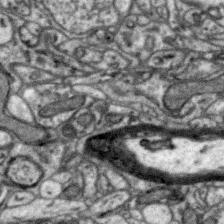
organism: Zebra finch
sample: Brain